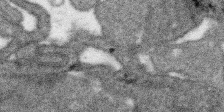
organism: Human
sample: Lung epithelial cells infected with SARS-CoV-2